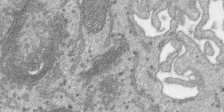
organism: Human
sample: Lung epithelial cells infected with SARS-CoV-2